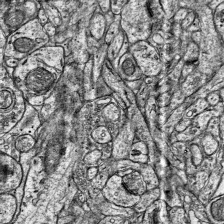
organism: Mouse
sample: Visual Cortex